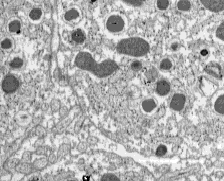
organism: C57BL Mouse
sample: Pancreatic islet